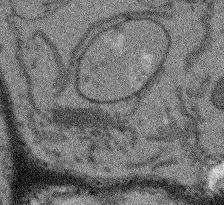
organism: Arabidopsis thaliana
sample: Root tip